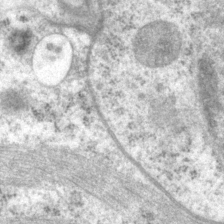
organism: P. pacificus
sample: Pharynx